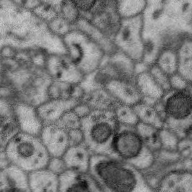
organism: Zebra finch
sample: Brain